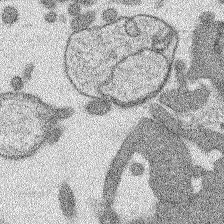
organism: Human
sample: HeLa cells